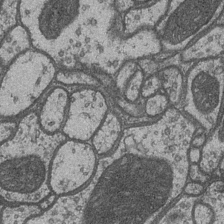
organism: Drosophila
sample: Optic medulla